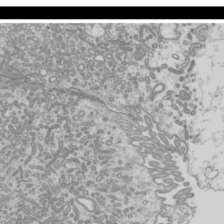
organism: Mouse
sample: Cilia; mouse epididymis